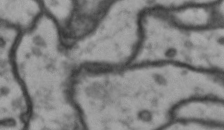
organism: Drosophila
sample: Brain